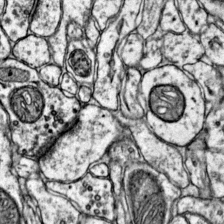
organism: Mouse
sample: Primary visual cortex